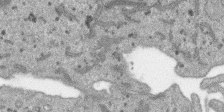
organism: Human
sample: Lung epithelial cells infected with SARS-CoV-2